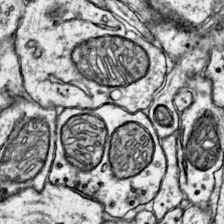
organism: Mouse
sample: Primary visual cortex